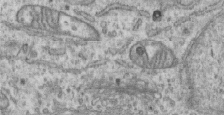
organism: Human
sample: Centriole in RPE cells